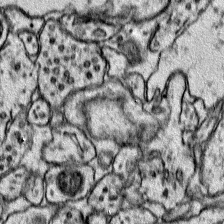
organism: Mouse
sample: Primary visual cortex